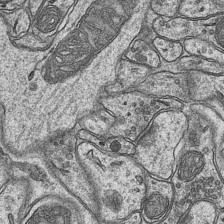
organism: Mouse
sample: CA1 Hippocampus